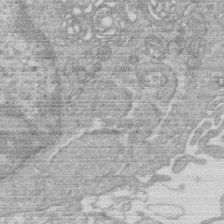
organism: Human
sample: Macrophage cells